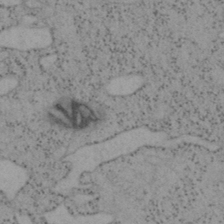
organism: Mouse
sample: OT-I killer T cells with ID8 ovarian cancer cells